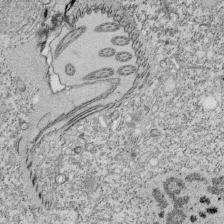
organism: Tetrahymena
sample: Cilia in tetrahymena